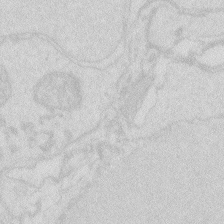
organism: Zebrafish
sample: Macrophage